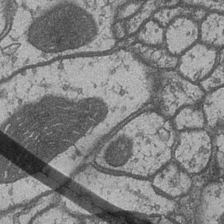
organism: Drosophila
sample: Optic medulla